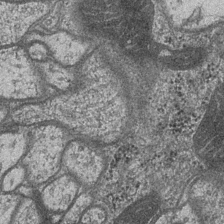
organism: Drosophila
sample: Optic medulla